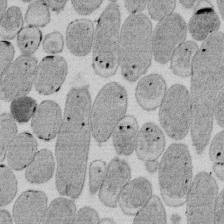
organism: E. coli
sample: Bacterial nucleoid